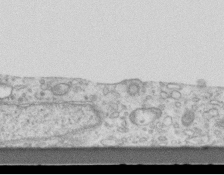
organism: Mouse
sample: Centriole in ependymal cells